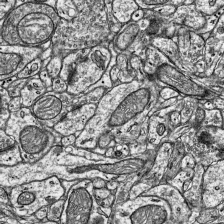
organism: Mouse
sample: Visual Cortex